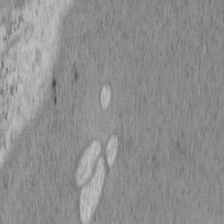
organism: Human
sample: HeLa cells